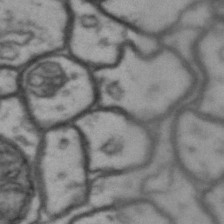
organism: Drosophila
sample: Brain